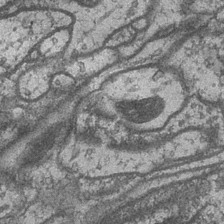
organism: Drosophila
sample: Optic medulla